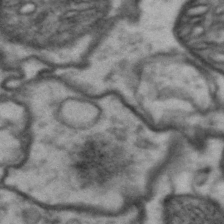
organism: Drosophila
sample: Brain